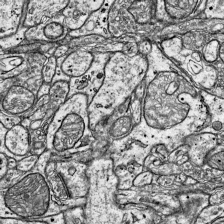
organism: Mouse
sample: Visual Cortex